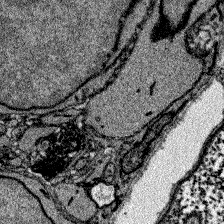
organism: Zebrafish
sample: Larval olfactory bulb